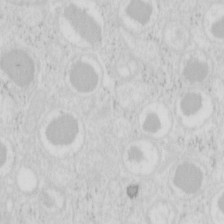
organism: Mouse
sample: Pancreas